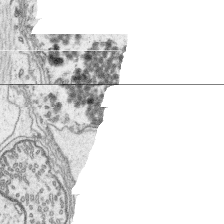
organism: Platynereis dumerilii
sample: Parapodia